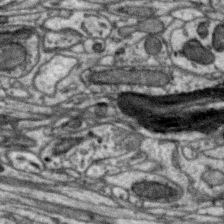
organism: Zebra finch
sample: Brain